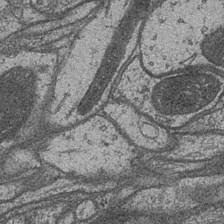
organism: Drosophila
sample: Optic medulla